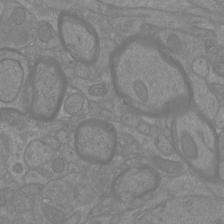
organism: Mouse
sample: Cortical neurons